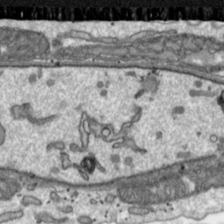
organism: Toxoplasma gondii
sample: Parasites in a vacuole inside a host cell